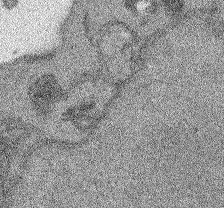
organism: Human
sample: HeLa cells